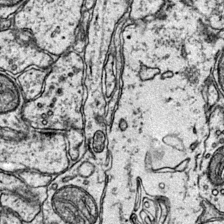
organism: Mouse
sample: Primary visual cortex